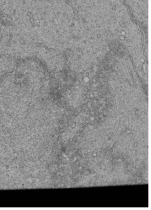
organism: Human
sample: Retinal organoid Rod and Cone cells